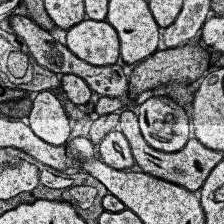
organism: Human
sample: Temporal Lobe